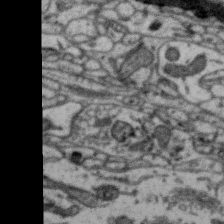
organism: Zebra finch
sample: Brain